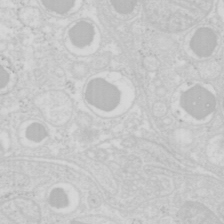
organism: Mouse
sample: Pancreas